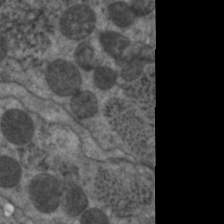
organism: C. elegans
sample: Pharynx